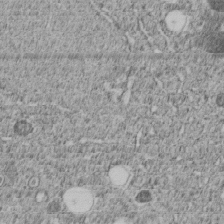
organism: C. elegans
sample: C. elegans embryo early stage